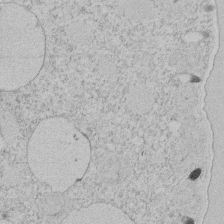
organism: Tetrahymena